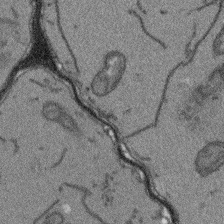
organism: Arabidopsis thaliana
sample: Root tip